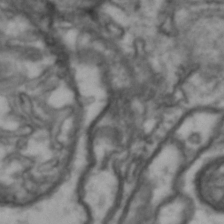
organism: Drosophila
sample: Brain